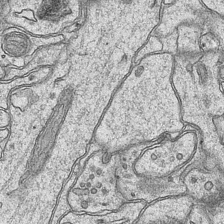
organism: Mouse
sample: CA1 Hippocampus